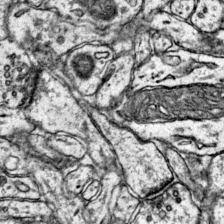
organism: Mouse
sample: Primary visual cortex